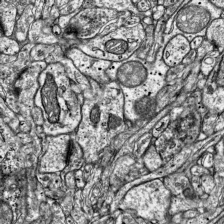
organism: Mouse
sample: Visual Cortex